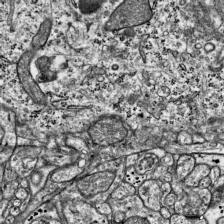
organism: Mouse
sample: Visual Cortex